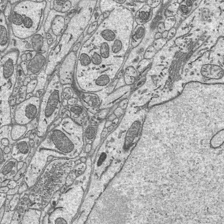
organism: Mouse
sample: Suprachiasmatic nucleus